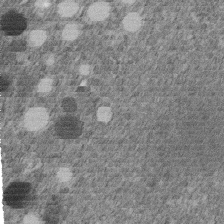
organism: C. elegans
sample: C. elegans embryo early stage